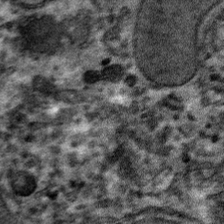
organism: Mouse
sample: Mouse hepatocytes